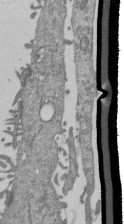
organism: Mouse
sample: ED-1 cell nuclei; centrioles